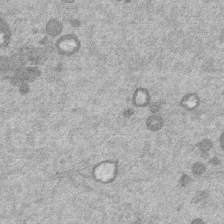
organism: Mouse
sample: Dividing mouse embryo 1 cell stage